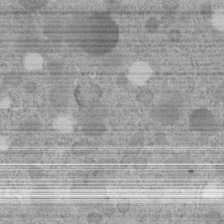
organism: C. elegans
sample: C. elegans embryo early stage